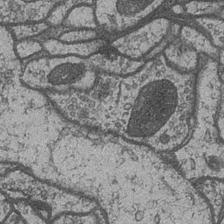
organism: Drosophila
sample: Optic medulla